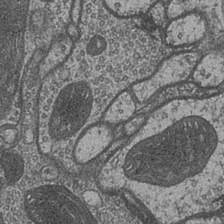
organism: Drosophila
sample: Optic medulla